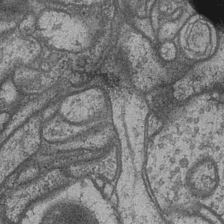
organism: Drosophila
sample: Optic medulla